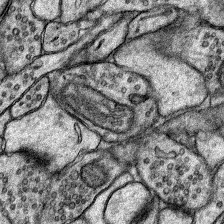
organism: Rat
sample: Hippocampus